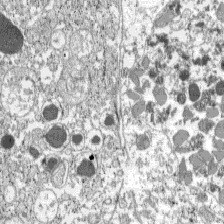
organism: C57BL Mouse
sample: Pancreatic islet